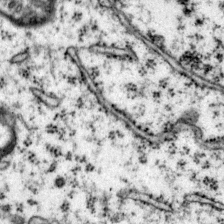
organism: Mouse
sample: Primary visual cortex